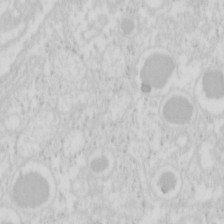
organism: Mouse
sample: Pancreas